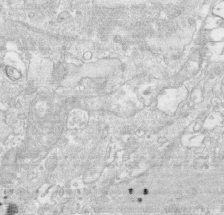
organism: Human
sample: CRL-1474